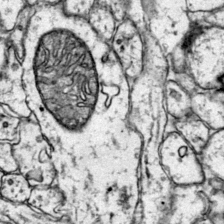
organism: Mouse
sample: Primary visual cortex